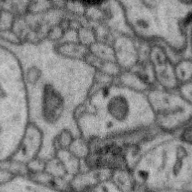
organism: Zebra finch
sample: Brain